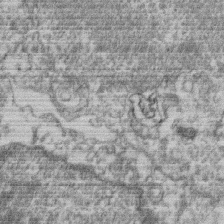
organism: Mouse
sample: T cell stromal cell synapse